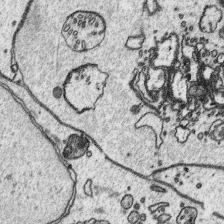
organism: Platynereis dumerilii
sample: Parapodia